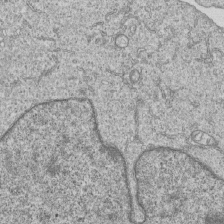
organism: Human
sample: MDA-MB-231 cells